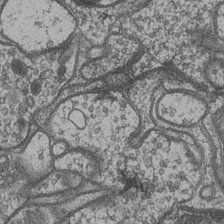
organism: Drosophila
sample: Optic medulla